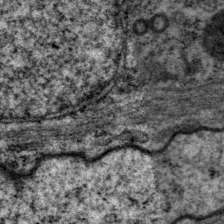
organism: P. pacificus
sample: Pharynx